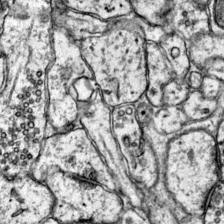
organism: Mouse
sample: Primary visual cortex